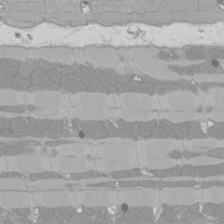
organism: Rat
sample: Left ventricle